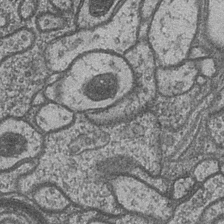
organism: Drosophila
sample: Optic medulla